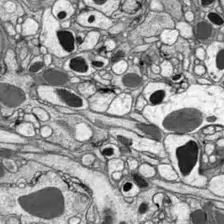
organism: Drosophila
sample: Optic lobe